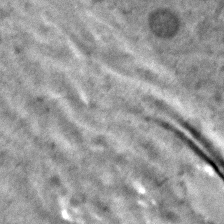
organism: Human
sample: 1205lu cells